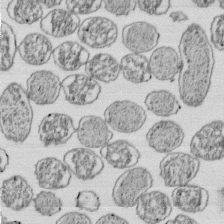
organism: E. coli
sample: Bacterial nucleoid